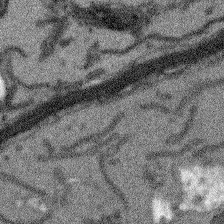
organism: Arabidopsis thaliana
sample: Root tip